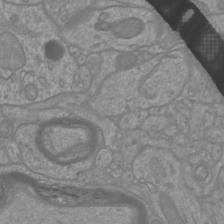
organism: Mouse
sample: Cortical neurons